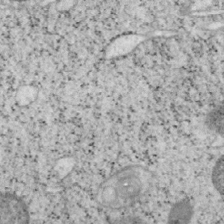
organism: Mouse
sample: OT-I killer T cells with ID8 ovarian cancer cells